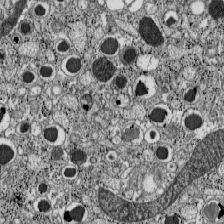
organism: C57BL Mouse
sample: Pancreatic islet